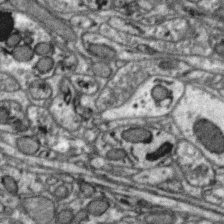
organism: Zebra finch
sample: Brain